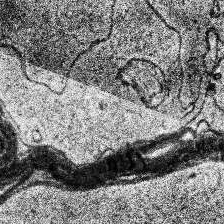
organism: Human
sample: Temporal Lobe